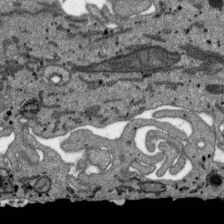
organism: Human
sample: Lung epithelial cells, uninfected (mock) control